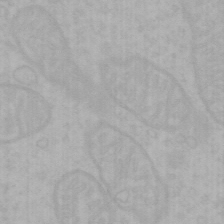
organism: Mouse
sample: Choroid plexus